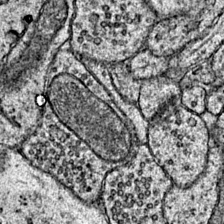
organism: Mouse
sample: Primary visual cortex